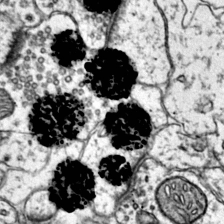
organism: Mouse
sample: Primary visual cortex